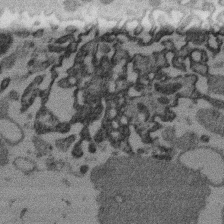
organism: Mouse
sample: Dividing mouse embryo 1 cell stage